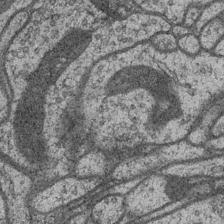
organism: Drosophila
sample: Optic medulla